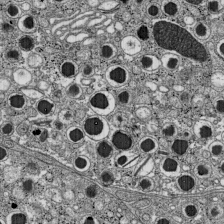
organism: C57BL Mouse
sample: Pancreatic islet